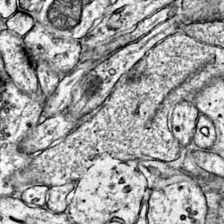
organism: Mouse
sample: Primary visual cortex